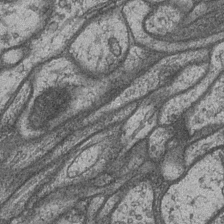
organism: Drosophila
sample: Optic medulla